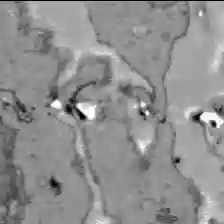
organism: C57BL Mouse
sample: Liver